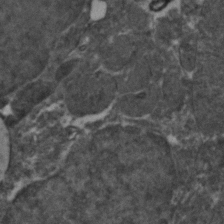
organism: Zebrafish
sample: Zebrafish embryo